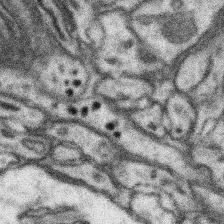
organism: Mouse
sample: Somatosensory cortex neuropil